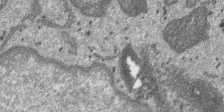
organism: Human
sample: Lung epithelial cells infected with SARS-CoV-2